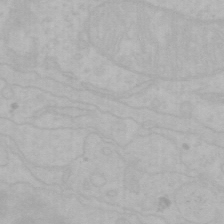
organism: Mouse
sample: Choroid plexus